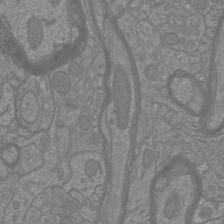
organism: Mouse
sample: Cortical neurons